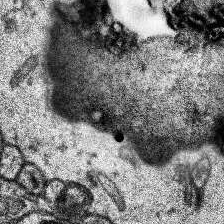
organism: Human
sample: Temporal Lobe